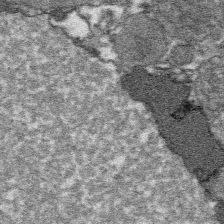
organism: Platynereis dumerilii